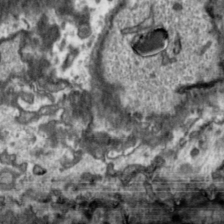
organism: Toxoplasma gondii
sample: Parasites in a vacuole inside a host cell